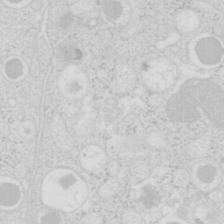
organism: Mouse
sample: Pancreas